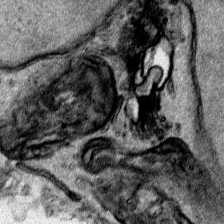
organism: Human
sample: Mitochondria in HCT116 cells